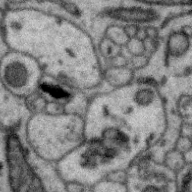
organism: Zebra finch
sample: Brain